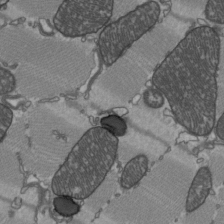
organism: C57BL Mouse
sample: Heart